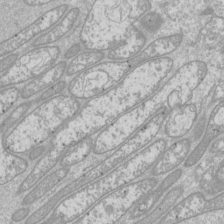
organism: Drosophila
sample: Cell division; meiosis; drosophila spermatocytes